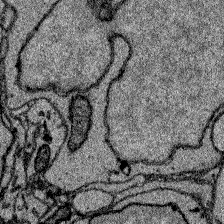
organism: Zebrafish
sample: Larval olfactory bulb